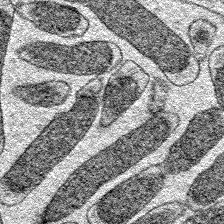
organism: E. coli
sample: E. Coli Bacteria